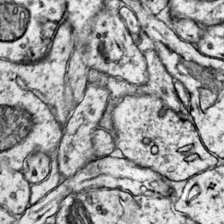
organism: Mouse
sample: Primary visual cortex